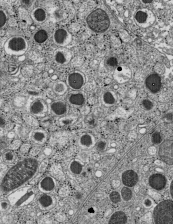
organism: C57BL Mouse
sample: Pancreatic islet